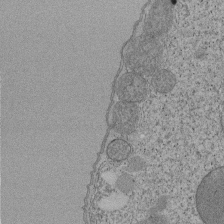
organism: Tetrahymena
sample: Cilia in tetrahymena